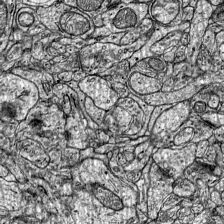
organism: Mouse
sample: Visual Cortex